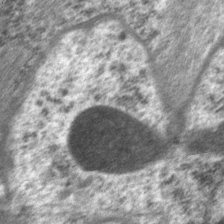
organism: P. pacificus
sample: Pharynx